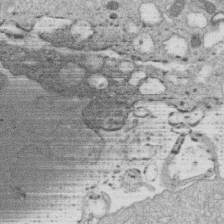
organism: Human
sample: Macrophage cells